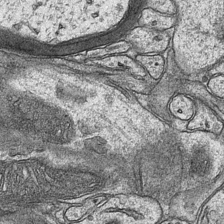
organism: Mouse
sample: CA1 Hippocampus